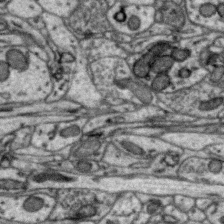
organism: Zebra finch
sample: Brain